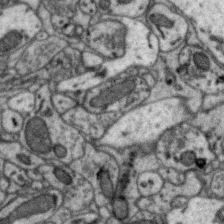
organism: Zebra finch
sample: Brain